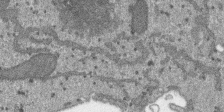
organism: Human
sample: Lung epithelial cells infected with SARS-CoV-2